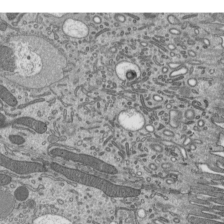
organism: Mouse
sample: Mouse epididymis efferent ductule cilia